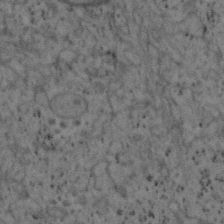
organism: Human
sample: HeLa cells